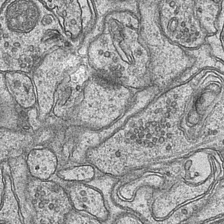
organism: Mouse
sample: CA1 Hippocampus